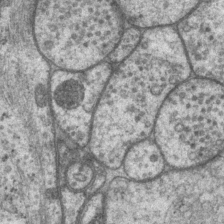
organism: P. pacificus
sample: Pharynx